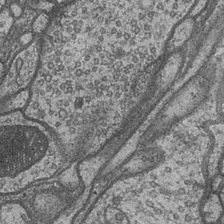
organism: Drosophila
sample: Optic medulla